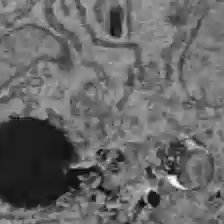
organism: C57BL Mouse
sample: Liver